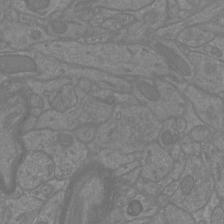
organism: Mouse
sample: Cortical neurons